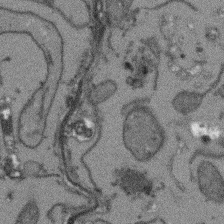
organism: Arabidopsis thaliana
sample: Root tip